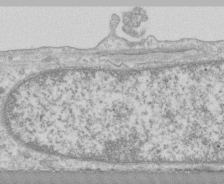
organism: Human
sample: CRL-1474